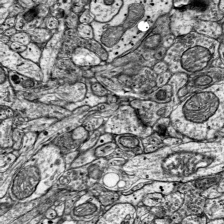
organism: Mouse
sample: Visual Cortex